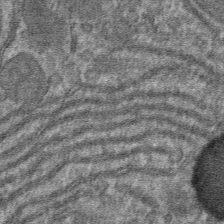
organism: Mouse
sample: Mouse hepatocytes